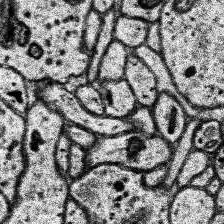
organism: Human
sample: Temporal Lobe